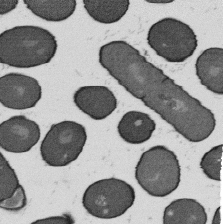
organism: B. subtilis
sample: Bacterial spore